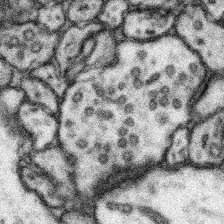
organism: Mouse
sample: Somatosensory cortex neuropil